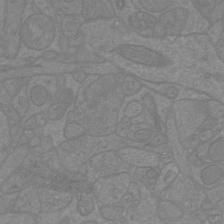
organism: Mouse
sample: Cortical neurons